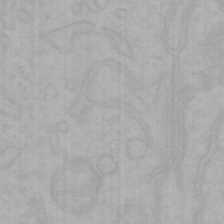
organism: Mouse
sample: Choroid plexus